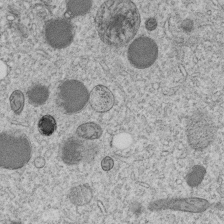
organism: C. elegans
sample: C. elegans embryo early stage